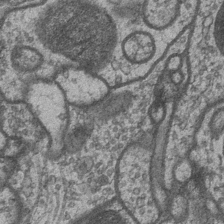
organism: Drosophila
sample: Optic medulla